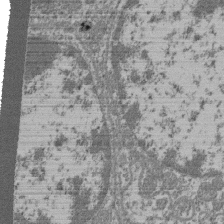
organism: Mouse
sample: Glomerulus